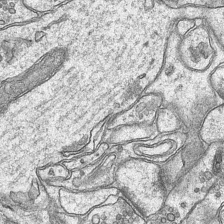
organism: Mouse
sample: CA1 Hippocampus